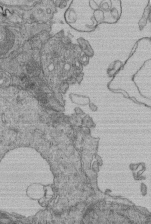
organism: Human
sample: Retinal organoid Rod and Cone cells